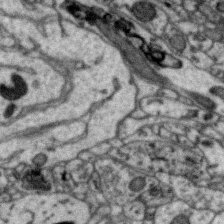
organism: Zebra finch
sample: Brain